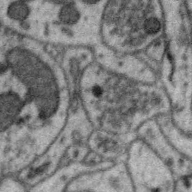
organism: Zebra finch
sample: Brain